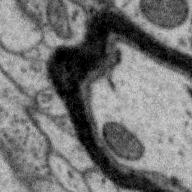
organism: Zebra finch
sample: Brain